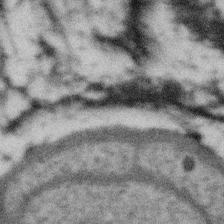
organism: Gemmata obscuriglobus